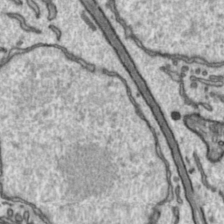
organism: Toxoplasma gondii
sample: Parasites in a vacuole inside a host cell